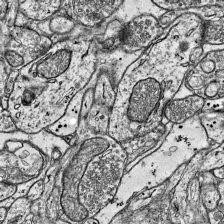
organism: Mouse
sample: Visual Cortex